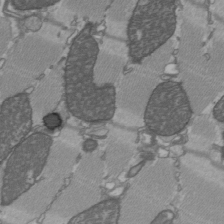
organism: C57BL Mouse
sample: Heart